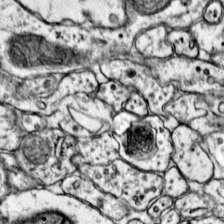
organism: Mouse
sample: Primary visual cortex